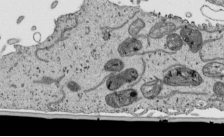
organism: Human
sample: Mitochondria in HCT116 cells